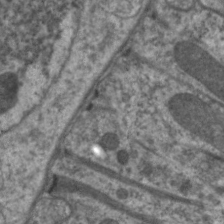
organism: C. elegans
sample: Pharynx